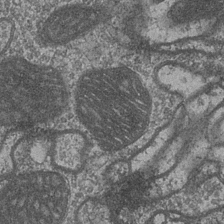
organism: Drosophila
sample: Optic medulla